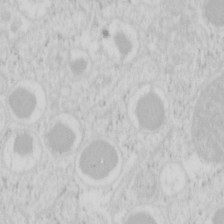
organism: Mouse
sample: Pancreas